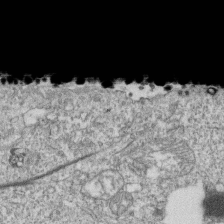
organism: Human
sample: HeLa cell HIV synapse